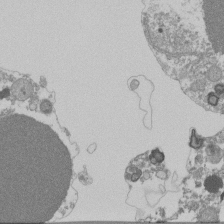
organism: Mouse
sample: Activated Pmel transgenic CD8+ T Cells